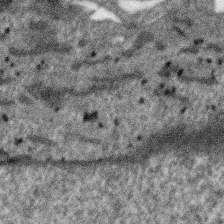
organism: Human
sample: Lung epithelial cells infected with SARS-CoV-2